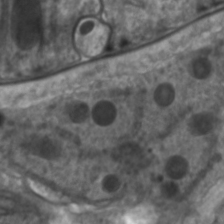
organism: C. elegans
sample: Pharynx